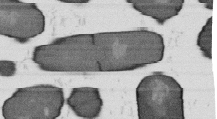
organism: B. subtilis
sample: Bacterial spore